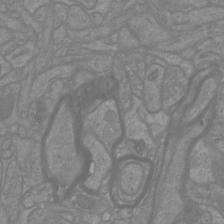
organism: Mouse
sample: Cortical neurons